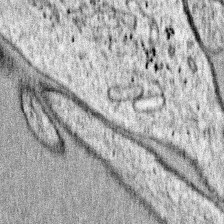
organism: Human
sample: HeLa cells